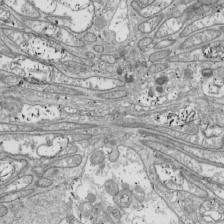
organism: Drosophila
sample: Cell division; meiosis; drosophila spermatocytes